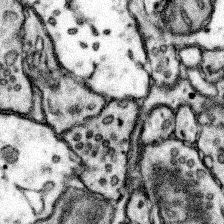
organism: Mouse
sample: Somatosensory cortex neuropil